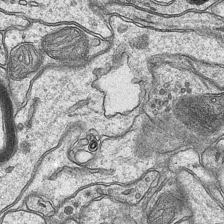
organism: Mouse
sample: CA1 Hippocampus